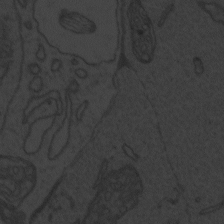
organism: Zebrafish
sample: Macrophage infected with Toxoplasma gondii